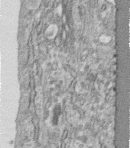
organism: Human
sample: Centriole in fibroblast cells